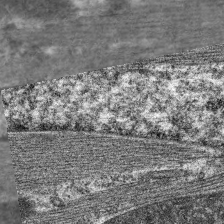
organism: C. elegans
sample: Pharynx